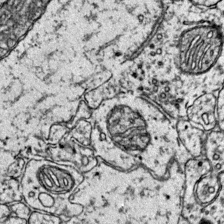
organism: Mouse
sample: Primary visual cortex